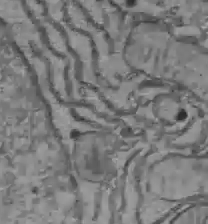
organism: C57BL Mouse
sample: Liver